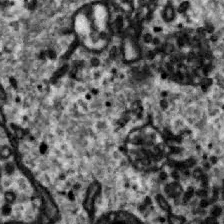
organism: Human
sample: HeLa cells